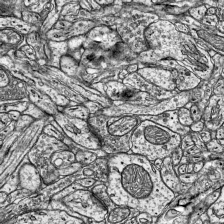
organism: Mouse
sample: Visual Cortex